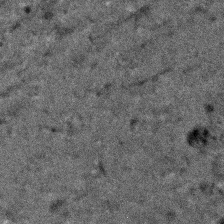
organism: Human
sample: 1205lu cells